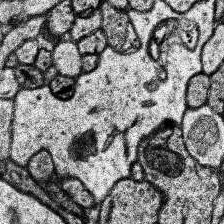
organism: Human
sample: Temporal Lobe